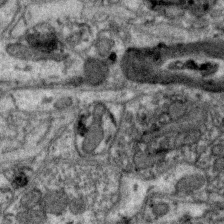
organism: Zebra finch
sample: Brain